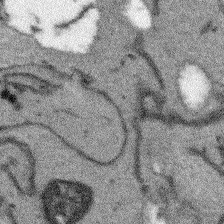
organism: Arabidopsis thaliana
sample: Root tip